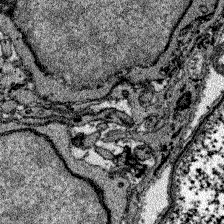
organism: Zebrafish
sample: Larval olfactory bulb